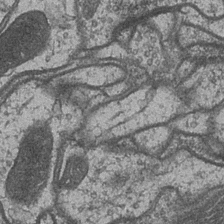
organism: Drosophila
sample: Optic medulla